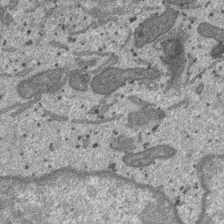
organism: Human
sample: Lung epithelial cells infected with SARS-CoV-2